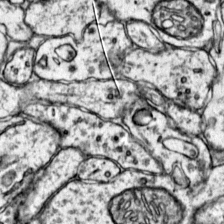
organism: Mouse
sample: Primary visual cortex